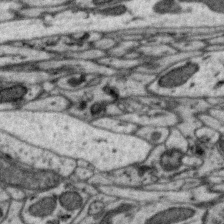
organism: Zebra finch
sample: Brain